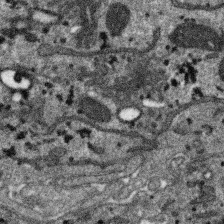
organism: Human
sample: Lung epithelial cells infected with SARS-CoV-2